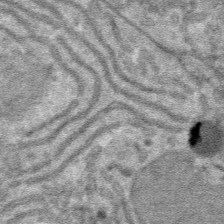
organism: Mouse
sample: Mouse hepatocytes